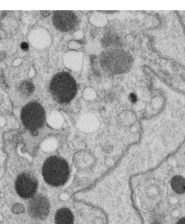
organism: C. elegans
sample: C. elegans oocyte; sperm cells